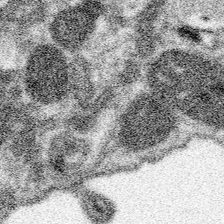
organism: Spongilla lacustris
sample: Neuroid cell